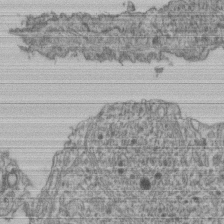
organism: Human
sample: Retinal organoid Rod and Cone cells